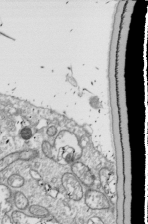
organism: Drosophila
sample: Cell division; meiosis; drosophila spermatocytes